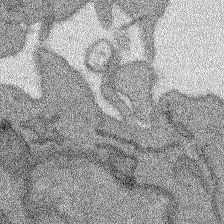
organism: Human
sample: HeLa cells